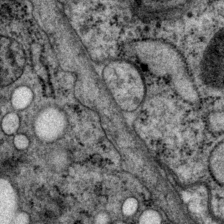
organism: P. pacificus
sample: Pharynx